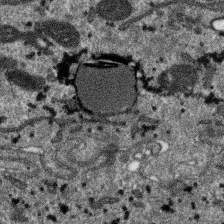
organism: Human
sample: Lung epithelial cells infected with SARS-CoV-2